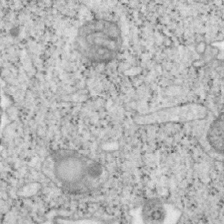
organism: Mouse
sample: OT-I killer T cells with ID8 ovarian cancer cells